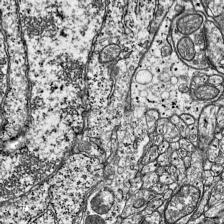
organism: Mouse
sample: Visual Cortex